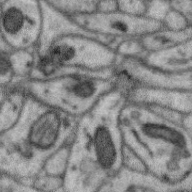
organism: Zebra finch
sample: Brain